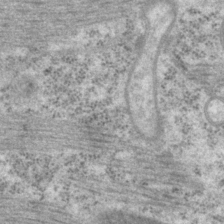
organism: P. pacificus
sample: Pharynx